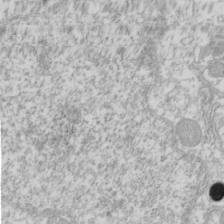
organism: Xenopus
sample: Cilia; centrioles in frog embryo cells